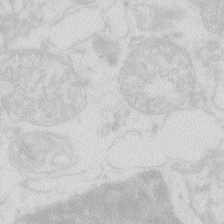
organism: Zebrafish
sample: Macrophage